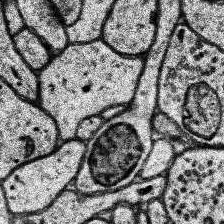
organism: Human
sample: Temporal Lobe